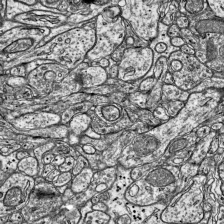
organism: Mouse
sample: Visual Cortex